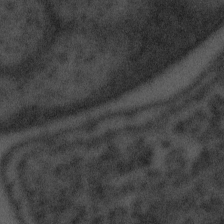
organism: Tuwongella immobilis